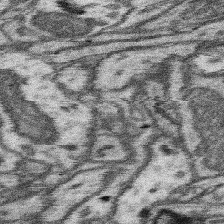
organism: Mouse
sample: Somatosensory cortex neuropil